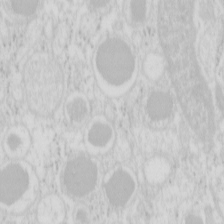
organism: Mouse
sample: Pancreas